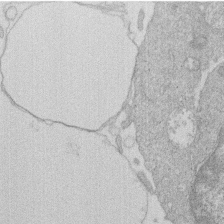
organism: Human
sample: Macrophage cells